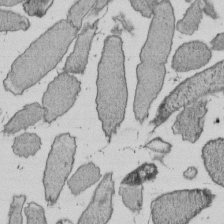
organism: E. coli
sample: Bacterial nucleoid